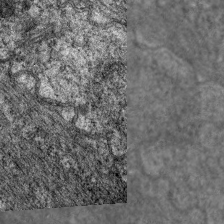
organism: C. elegans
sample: Pharynx